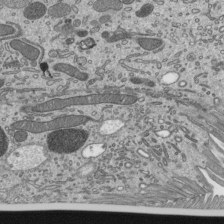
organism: Mouse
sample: Mouse epididymis efferent ductule cilia